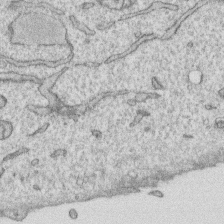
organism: Human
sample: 1205lu cells